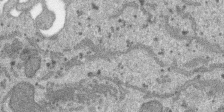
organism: Human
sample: Lung epithelial cells infected with SARS-CoV-2